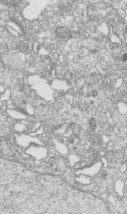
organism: Human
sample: HeLa cell HIV synapse